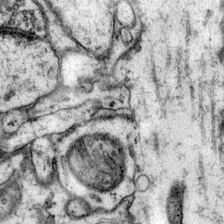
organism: Mouse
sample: Primary visual cortex